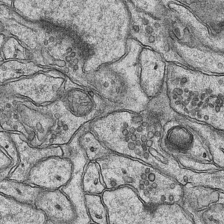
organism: Mouse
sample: CA1 Hippocampus